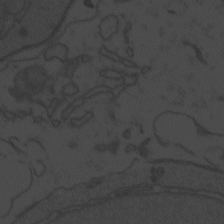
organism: Zebrafish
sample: Macrophage infected with Toxoplasma gondii